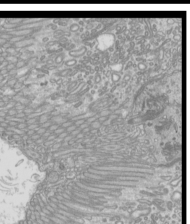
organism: Mouse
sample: Cilia; mouse epididymis